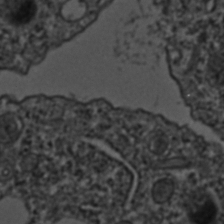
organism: C. elegans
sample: C. elegans embryo